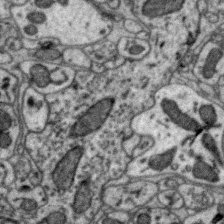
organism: Zebra finch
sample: Brain